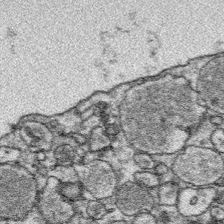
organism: Platynereis dumerilii